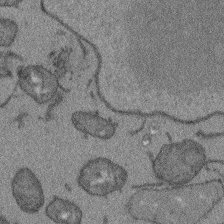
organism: Arabidopsis thaliana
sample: Root tip